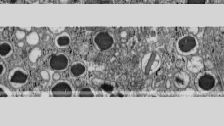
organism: C57BL Mouse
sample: Pancreatic islet